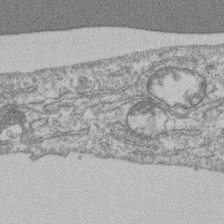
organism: Mouse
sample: T cell stromal cell synapse